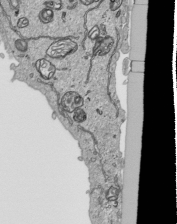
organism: Human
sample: Mitochondria in HCT116 cells